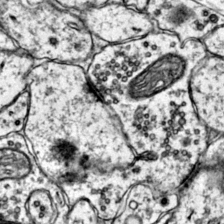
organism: Mouse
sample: Primary visual cortex